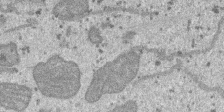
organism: Human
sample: Lung epithelial cells infected with SARS-CoV-2